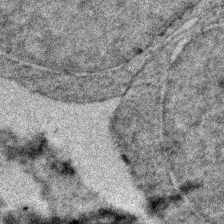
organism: Zebrafish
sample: Zebrafish embryo